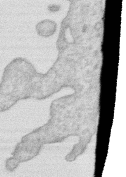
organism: Human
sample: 1205lu cells